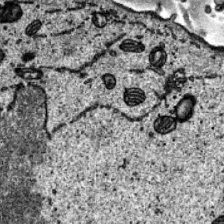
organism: Human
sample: HeLa cells